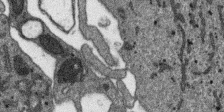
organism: Human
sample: Lung epithelial cells infected with SARS-CoV-2